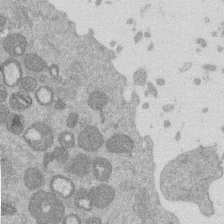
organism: Mouse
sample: Dividing mouse embryo 1 cell stage